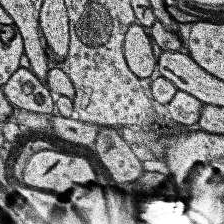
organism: Human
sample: Temporal Lobe